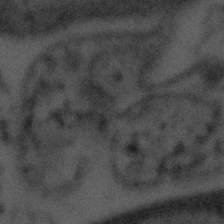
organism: Tuwongella immobilis